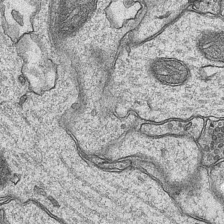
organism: Mouse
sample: CA1 Hippocampus